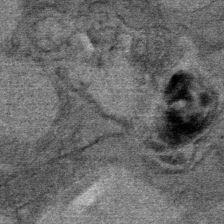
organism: Mouse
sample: Mouse Salivary gland